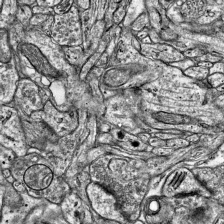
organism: Mouse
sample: Visual Cortex